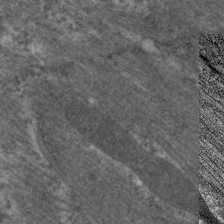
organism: C. elegans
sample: Pharynx